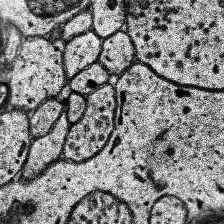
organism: Human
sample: Temporal Lobe